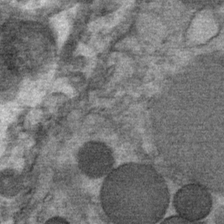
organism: Mouse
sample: Mouse Salivary gland